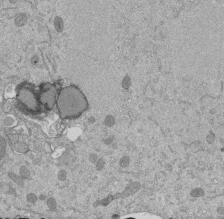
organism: Mouse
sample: ED-1 cell nuclei; centrioles